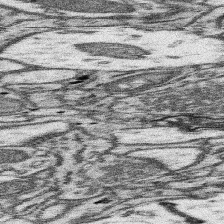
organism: Mouse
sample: Somatosensory cortex neuropil